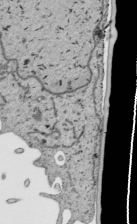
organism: Human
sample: Mitochondria in HCT116 cells